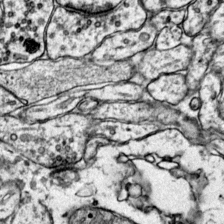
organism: Mouse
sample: Primary visual cortex